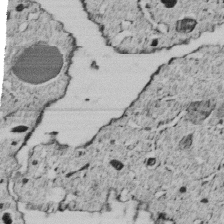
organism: C. elegans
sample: C. elegans embryo early stage